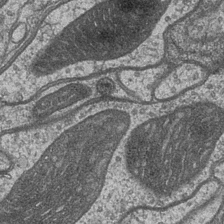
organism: Drosophila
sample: Optic medulla